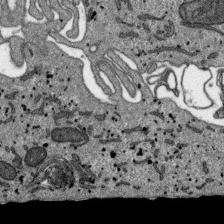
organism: Human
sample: Lung epithelial cells, uninfected (mock) control